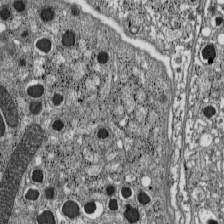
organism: C57BL Mouse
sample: Pancreatic islet